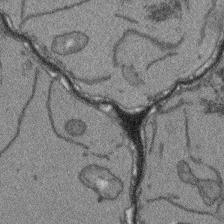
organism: Arabidopsis thaliana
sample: Root tip